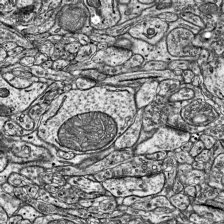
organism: Mouse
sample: Visual Cortex